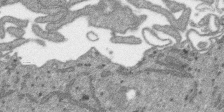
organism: Human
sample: Lung epithelial cells infected with SARS-CoV-2